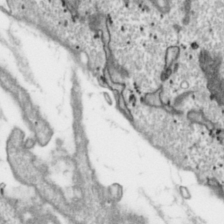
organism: Toxoplasma gondii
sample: Parasites in a vacuole inside a host cell